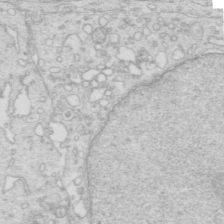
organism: Mouse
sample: Multiciliated cells